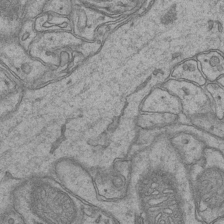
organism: Mouse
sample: CA1 Hippocampus